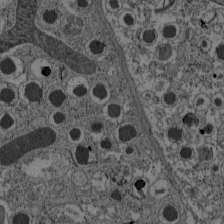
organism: C57BL Mouse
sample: Pancreatic islet